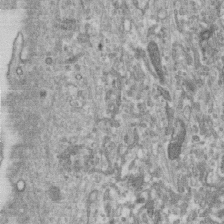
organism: Human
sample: Centriole in RPE cells